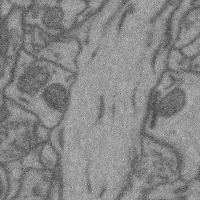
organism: Mouse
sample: Cerebral cortex